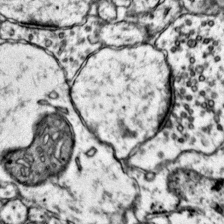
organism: Mouse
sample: Primary visual cortex